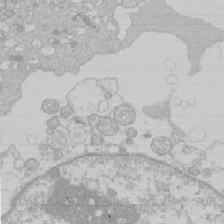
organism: Human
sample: Macrophage cells